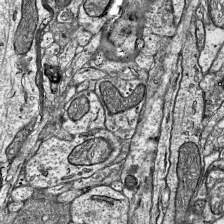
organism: Mouse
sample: Visual Cortex